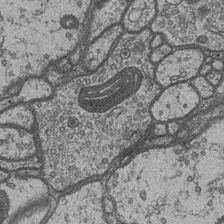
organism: Drosophila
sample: Optic medulla